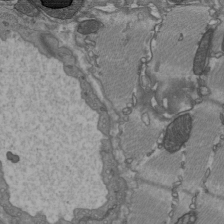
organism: C57BL Mouse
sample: Heart